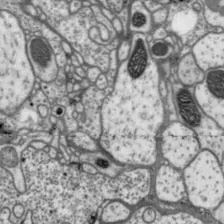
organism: Drosophila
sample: Protocerebral bridge